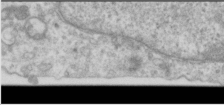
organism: Human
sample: Cilia; basal body in RPE cells